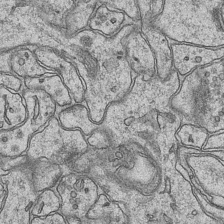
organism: Mouse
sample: CA1 Hippocampus